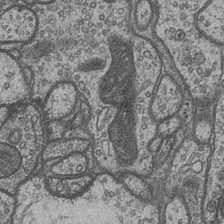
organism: Drosophila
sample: Optic medulla